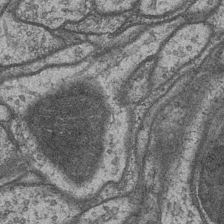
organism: Drosophila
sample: Optic medulla